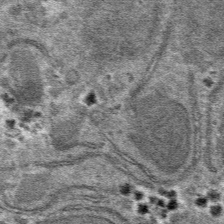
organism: Mouse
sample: Mouse hepatocytes